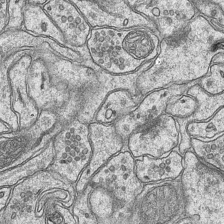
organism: Mouse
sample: CA1 Hippocampus